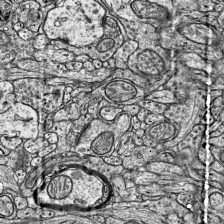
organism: Mouse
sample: Visual Cortex